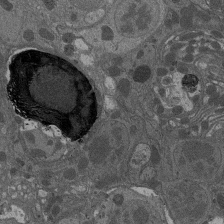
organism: Drosophila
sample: Antenna